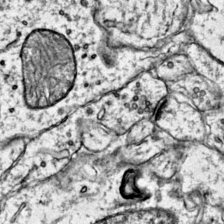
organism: Mouse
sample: Primary visual cortex